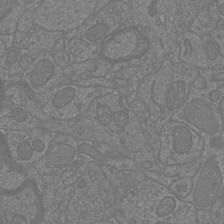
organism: Mouse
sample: Cortical neurons